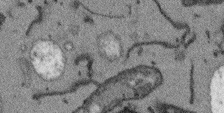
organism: Arabidopsis thaliana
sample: Root tip